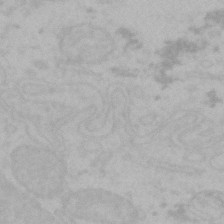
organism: Mouse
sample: Choroid plexus